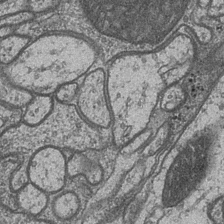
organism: Drosophila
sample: Optic medulla